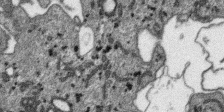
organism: Human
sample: Lung epithelial cells infected with SARS-CoV-2